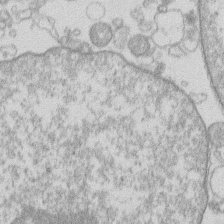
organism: Human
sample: Macrophage cells